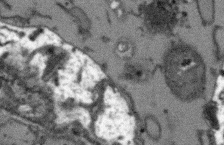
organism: Arabidopsis thaliana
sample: Root tip